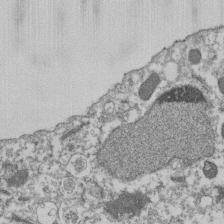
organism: Dictyostelium discoideum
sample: Dictyostelium multivesicular bodies